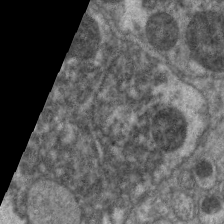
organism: C. elegans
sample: Pharynx